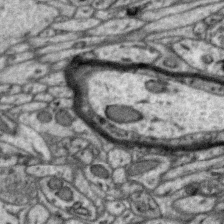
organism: Zebra finch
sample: Brain